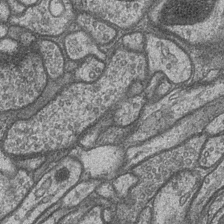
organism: Drosophila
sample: Optic medulla